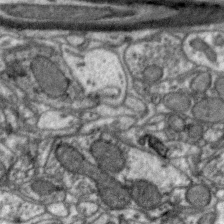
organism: Zebra finch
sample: Brain